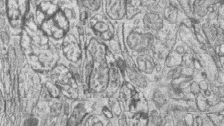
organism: Zebrafish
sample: synaptic ribbons in rod cells and cone cells